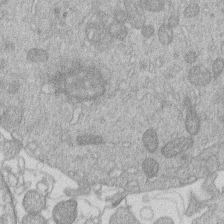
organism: Human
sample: Macrophage cells